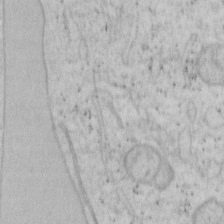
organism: Human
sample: HeLa cells